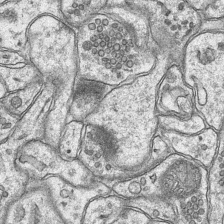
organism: Mouse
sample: CA1 Hippocampus